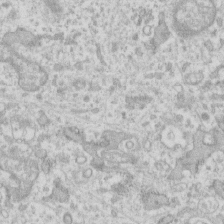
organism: Human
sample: Fibroblast cells